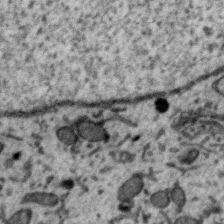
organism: Zebra finch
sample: Brain